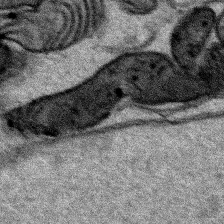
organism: Human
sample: Mitochondria in HCT116 cells